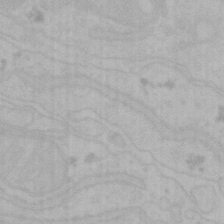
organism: Mouse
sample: Choroid plexus